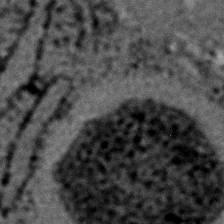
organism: C. elegans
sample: C. elegans embryo